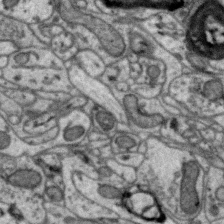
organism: Zebra finch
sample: Brain